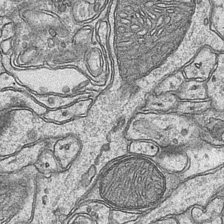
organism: Mouse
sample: CA1 Hippocampus